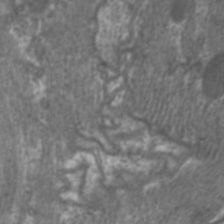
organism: C. elegans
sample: Pharynx